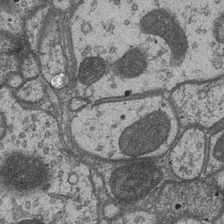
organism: Drosophila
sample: Optic medulla